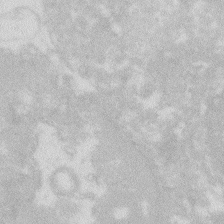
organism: Zebrafish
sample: Macrophage